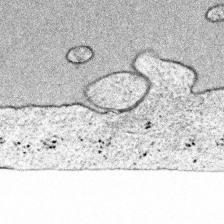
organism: Human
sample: HeLa cells